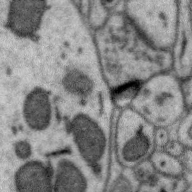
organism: Zebra finch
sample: Brain